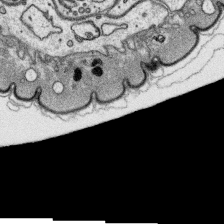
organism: Platynereis dumerilii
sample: Parapodia